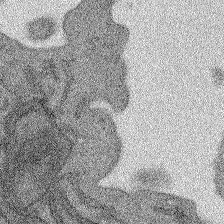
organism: Human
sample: HeLa cells